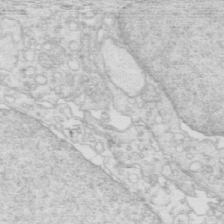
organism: Mouse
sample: Multiciliated cells